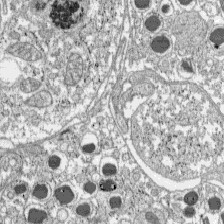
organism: C57BL Mouse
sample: Pancreatic islet